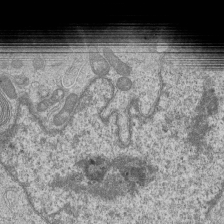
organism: Human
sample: MDA-MB-231 cells